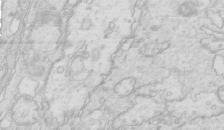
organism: Mouse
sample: Multiciliated cells